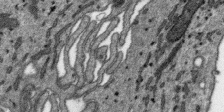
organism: Human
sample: Lung epithelial cells, uninfected (mock) control